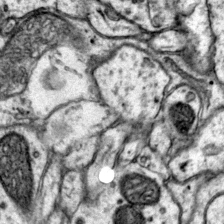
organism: Mouse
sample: Primary visual cortex